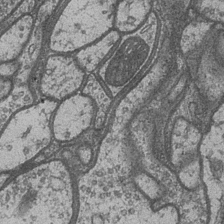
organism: Drosophila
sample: Optic medulla